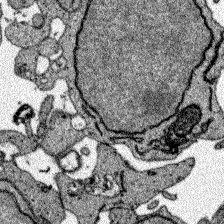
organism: Zebrafish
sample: Larval olfactory bulb